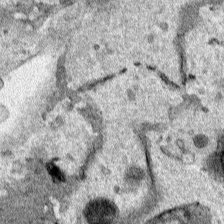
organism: Human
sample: Mitochondria in HCT116 cells